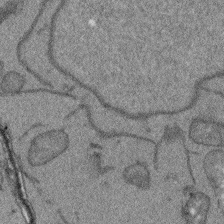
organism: Arabidopsis thaliana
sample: Root tip